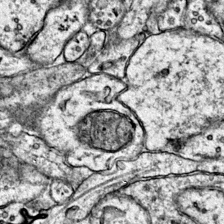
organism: Mouse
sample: Primary visual cortex